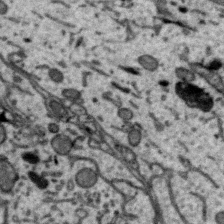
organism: Zebra finch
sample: Brain